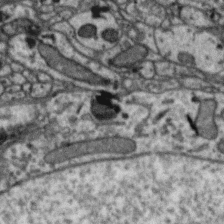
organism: Zebra finch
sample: Brain